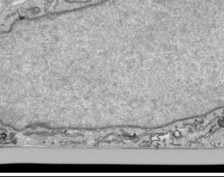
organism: Human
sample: Mitochondria in HCT116 cells